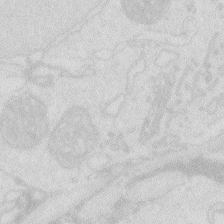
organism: Zebrafish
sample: Macrophage